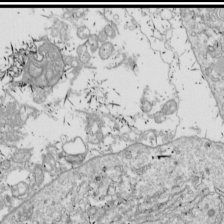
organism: Drosophila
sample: Cell division; meiosis; drosophila spermatocytes